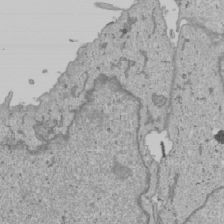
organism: Human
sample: Mitochondria in U2OS cells